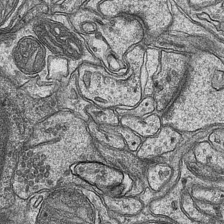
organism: Mouse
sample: CA1 Hippocampus